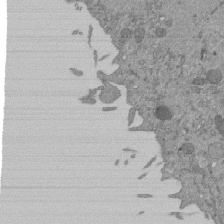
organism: Mouse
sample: ED-1 cell nuclei; centrioles